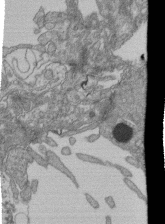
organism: Human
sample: Retinal organoid Rod and Cone cells